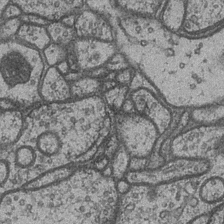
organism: Drosophila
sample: Optic medulla